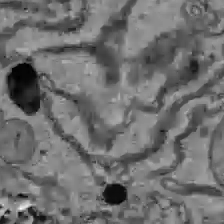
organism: C57BL Mouse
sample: Liver